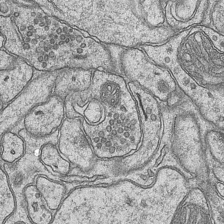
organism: Mouse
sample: CA1 Hippocampus